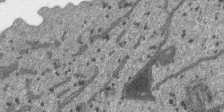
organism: Human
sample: Lung epithelial cells infected with SARS-CoV-2